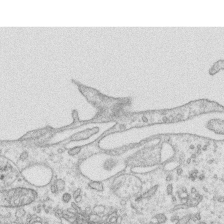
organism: Human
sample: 1205lu cells